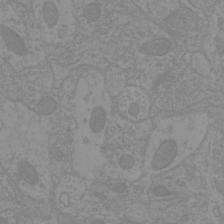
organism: Mouse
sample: Cortical neurons